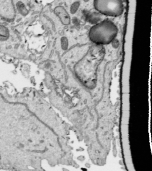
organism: Human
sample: Mitochondria in HCT116 cells